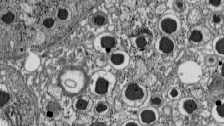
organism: C57BL Mouse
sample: Pancreatic islet